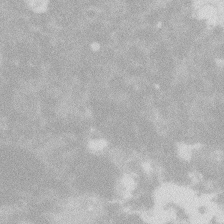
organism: Zebrafish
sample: Macrophage